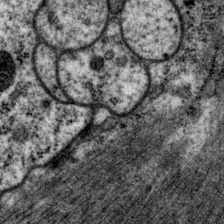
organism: P. pacificus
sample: Pharynx